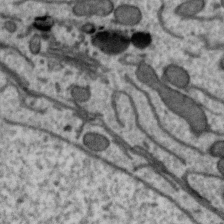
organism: Zebra finch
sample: Brain